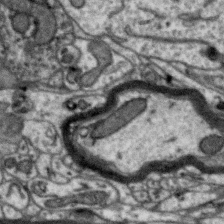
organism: Zebra finch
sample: Brain